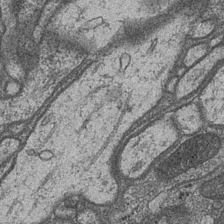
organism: Drosophila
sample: Optic medulla